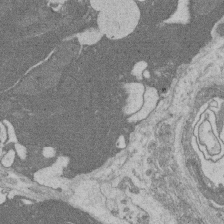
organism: Rat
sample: Salivary granule